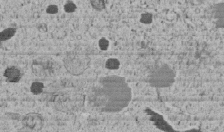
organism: C. elegans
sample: C. elegans embryo early stage